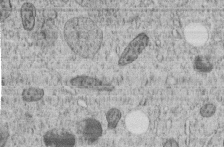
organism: C. elegans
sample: C. elegans embryo early stage